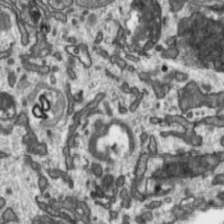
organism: Toxoplasma gondii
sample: Parasites in a vacuole inside a host cell